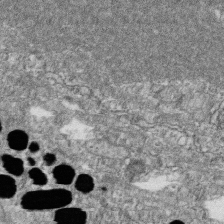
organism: Zebrafish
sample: Cilia; retinal pigment epithelium